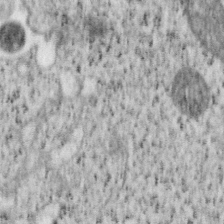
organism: Mouse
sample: OT-I killer T cells with ID8 ovarian cancer cells